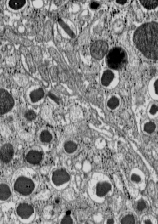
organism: C57BL Mouse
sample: Pancreatic islet